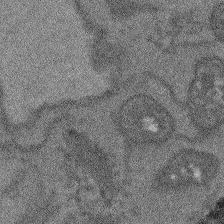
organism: Arabidopsis thaliana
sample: Root tip